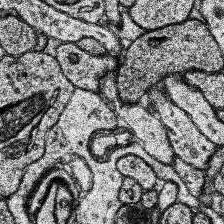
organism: Human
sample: Temporal Lobe